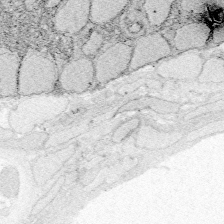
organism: Zebrafish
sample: Whole-Brain